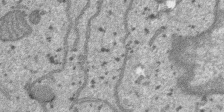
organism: Human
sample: Lung epithelial cells infected with SARS-CoV-2